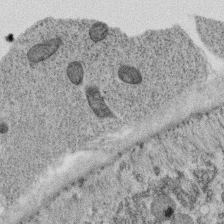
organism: C. elegans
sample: C. elegans oocyte; sperm cells